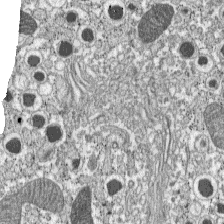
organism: C57BL Mouse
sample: Pancreatic islet